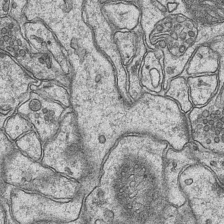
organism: Mouse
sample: CA1 Hippocampus